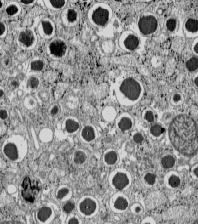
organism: C57BL Mouse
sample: Pancreatic islet